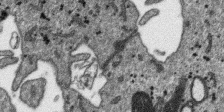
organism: Human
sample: Lung epithelial cells infected with SARS-CoV-2